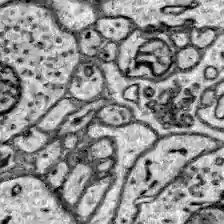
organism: Zebrafish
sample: Brain